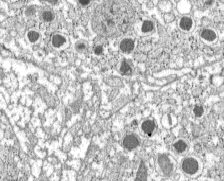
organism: C57BL Mouse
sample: Pancreatic islet